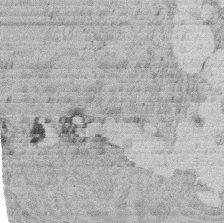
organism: Rat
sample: Salivary granule